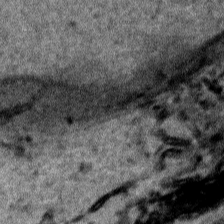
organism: Human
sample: Mitochondria in HCT116 cells